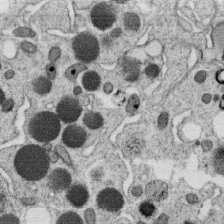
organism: C. elegans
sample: C. elegans oocyte; sperm cells